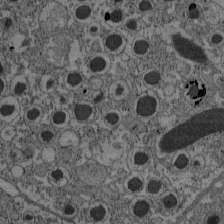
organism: C57BL Mouse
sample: Pancreatic islet